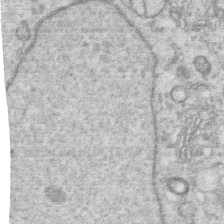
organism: Human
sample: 1205lu cells